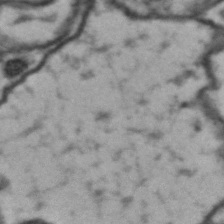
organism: Drosophila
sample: Brain